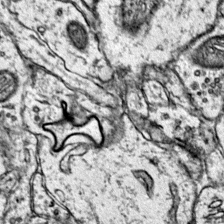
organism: Mouse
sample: Primary visual cortex